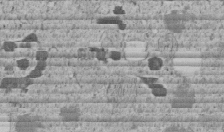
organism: C. elegans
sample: C. elegans embryo early stage